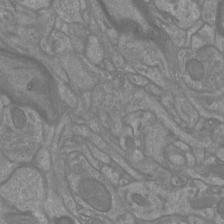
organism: Mouse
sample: Cortical neurons